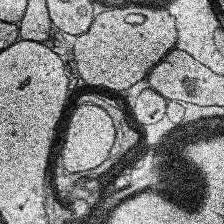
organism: Human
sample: Temporal Lobe